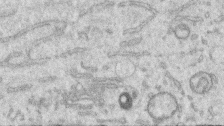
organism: Human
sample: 1205lu cells